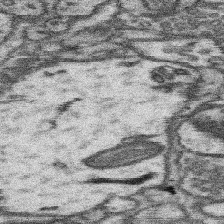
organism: Mouse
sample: Somatosensory cortex neuropil